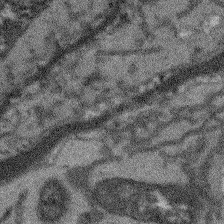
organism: Arabidopsis thaliana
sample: Root tip